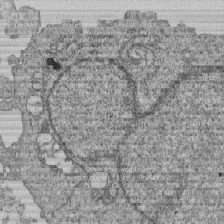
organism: Human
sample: MDA-MB-231 cells